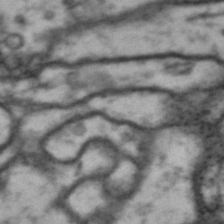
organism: Drosophila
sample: Brain